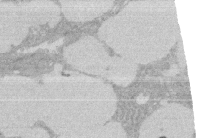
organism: Rat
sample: Salivary granule